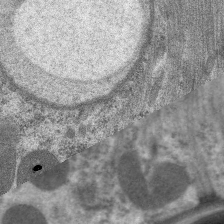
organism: C. elegans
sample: Pharynx